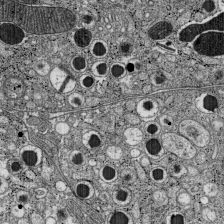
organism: C57BL Mouse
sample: Pancreatic islet